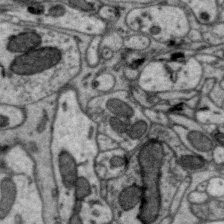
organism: Zebra finch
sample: Brain